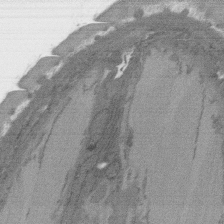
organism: C. elegans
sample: AFD neurons C. elegans